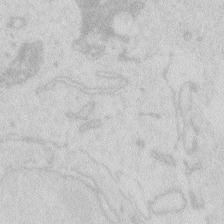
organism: Zebrafish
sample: Macrophage